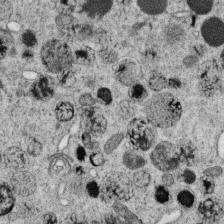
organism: C. elegans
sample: C. elegans oocyte; sperm cells